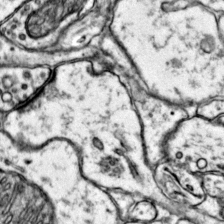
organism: Mouse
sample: Primary visual cortex